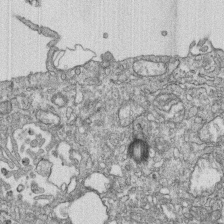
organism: Human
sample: HeLa cell HIV synapse